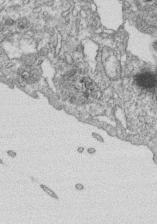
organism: Human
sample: HeLa cell HIV synapse